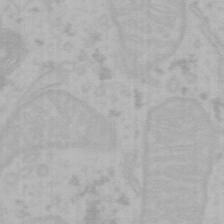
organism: Mouse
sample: Choroid plexus